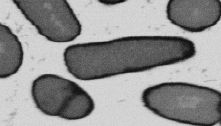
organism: B. subtilis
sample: Bacterial spore